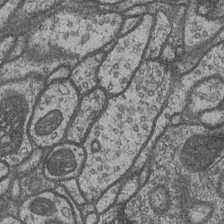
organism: Drosophila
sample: Optic medulla